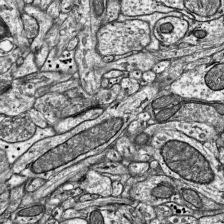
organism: Mouse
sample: Visual Cortex